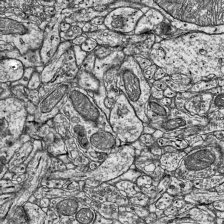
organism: Mouse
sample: Visual Cortex